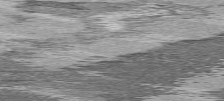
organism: C57BL Mouse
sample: Heart